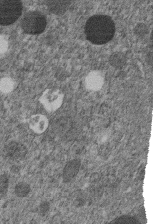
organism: C. elegans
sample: C. elegans embryo early stage